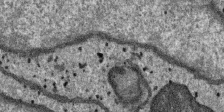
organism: Human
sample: Lung epithelial cells, uninfected (mock) control